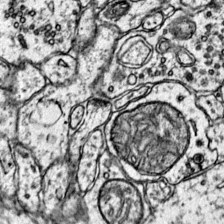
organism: Mouse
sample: Primary visual cortex